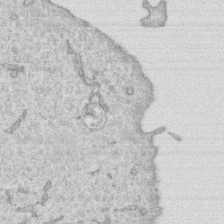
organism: Human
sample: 1205lu cells